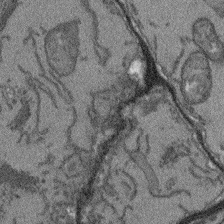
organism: Arabidopsis thaliana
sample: Root tip